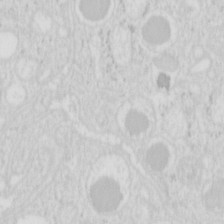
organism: Mouse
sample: Pancreas